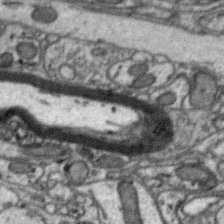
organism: Zebra finch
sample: Brain